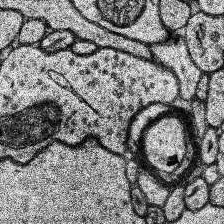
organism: Human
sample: Temporal Lobe